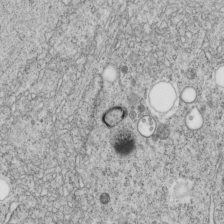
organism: C. elegans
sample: C. elegans embryo early stage